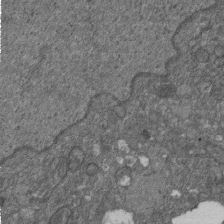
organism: Drosophila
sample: Nephrocyte